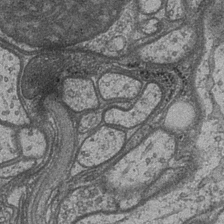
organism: Drosophila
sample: Optic medulla